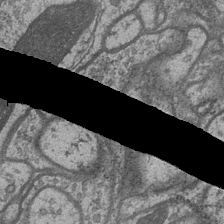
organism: Drosophila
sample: Optic medulla